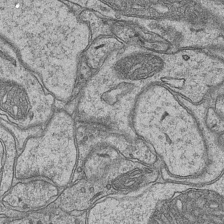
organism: Mouse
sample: CA1 Hippocampus